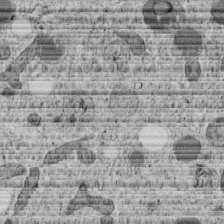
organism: C. elegans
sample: C. elegans embryo early stage